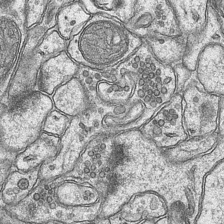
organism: Mouse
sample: CA1 Hippocampus